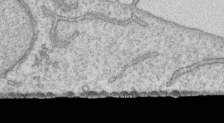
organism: Human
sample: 1205lu cells